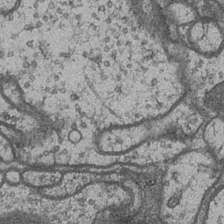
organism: Drosophila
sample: Optic medulla